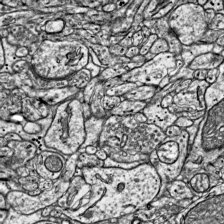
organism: Mouse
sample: Visual Cortex